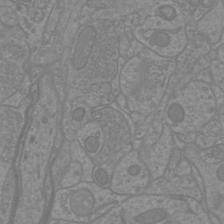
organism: Mouse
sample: Cortical neurons